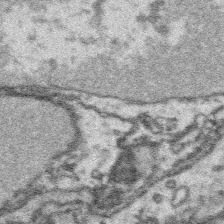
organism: Platynereis dumerilii